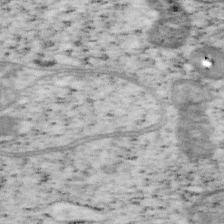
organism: Mouse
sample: OT-I killer T cells with ID8 ovarian cancer cells